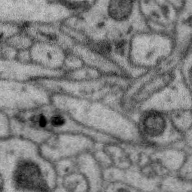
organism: Zebra finch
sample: Brain